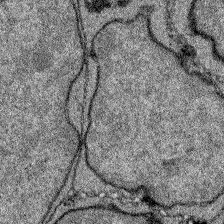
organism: Zebrafish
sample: Larval olfactory bulb